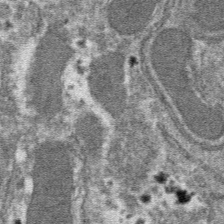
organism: Mouse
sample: Mouse hepatocytes